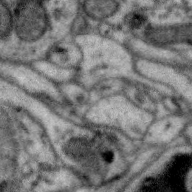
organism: Zebra finch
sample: Brain